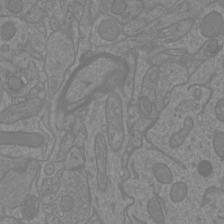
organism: Mouse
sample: Cortical neurons